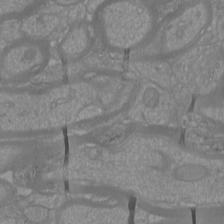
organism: Mouse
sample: Cortical neurons